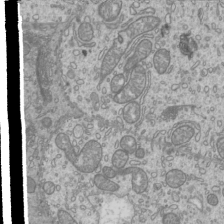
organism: Mouse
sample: Cilia; mouse epididymis